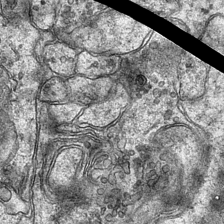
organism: Mouse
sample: CA1 Hippocampus